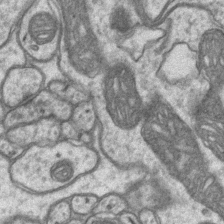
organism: Mouse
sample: CA1 Hippocampus